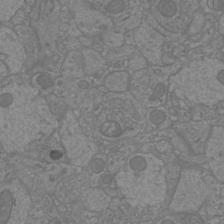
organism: Mouse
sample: Cortical neurons